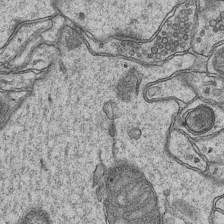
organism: Mouse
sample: CA1 Hippocampus